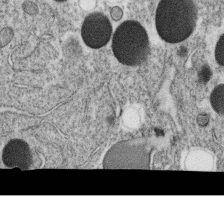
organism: C. elegans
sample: C. elegans oocyte; sperm cells